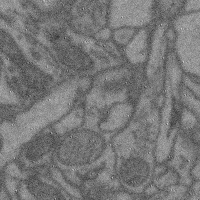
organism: Mouse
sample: Cerebral cortex